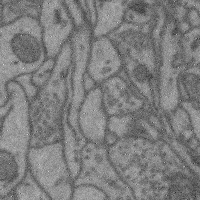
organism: Mouse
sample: Cerebral cortex